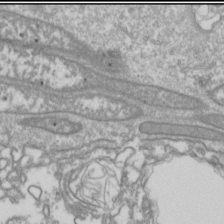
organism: Drosophila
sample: Cell division; meiosis; drosophila spermatocytes